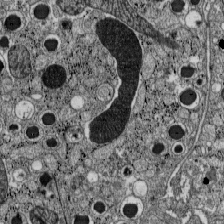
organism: C57BL Mouse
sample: Pancreatic islet